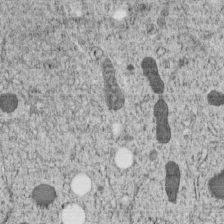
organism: C. elegans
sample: C. elegans embryo early stage